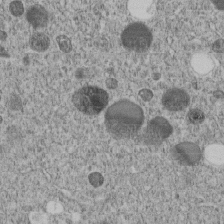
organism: C. elegans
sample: C. elegans embryo early stage